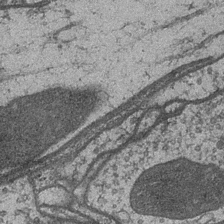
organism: Drosophila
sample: Optic medulla